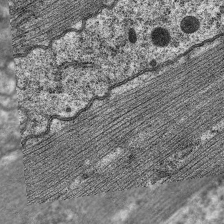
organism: C. elegans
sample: Pharynx